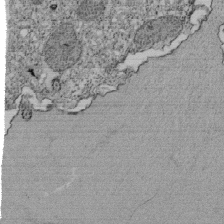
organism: Tetrahymena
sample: Cilia in tetrahymena